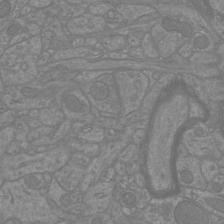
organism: Mouse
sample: Cortical neurons